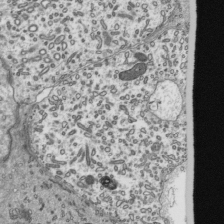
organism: Mouse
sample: Mouse epididymis efferent ductule cilia